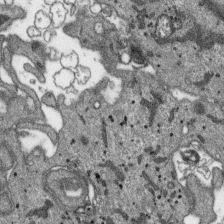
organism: Human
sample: Lung epithelial cells, uninfected (mock) control